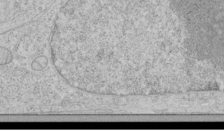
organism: Human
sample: Mitochondria in HCT116 cells